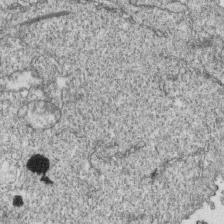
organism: Human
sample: HeLa cell HIV synapse